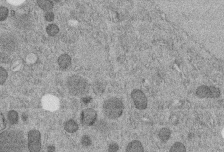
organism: C. elegans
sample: C. elegans embryo early stage